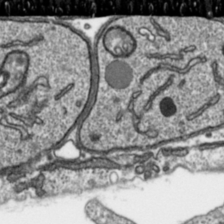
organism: Toxoplasma gondii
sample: Parasites in a vacuole inside a host cell